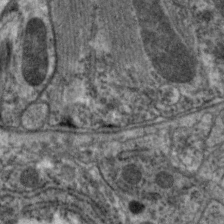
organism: C. elegans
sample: Pharynx